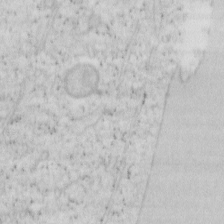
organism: Human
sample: HeLa cells